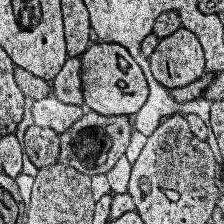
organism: Human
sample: Temporal Lobe